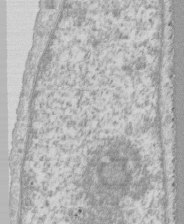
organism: Human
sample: CRL-1474